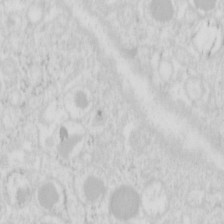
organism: Mouse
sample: Pancreas